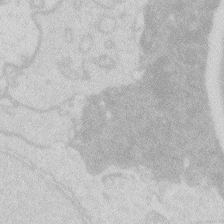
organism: Zebrafish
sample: Macrophage